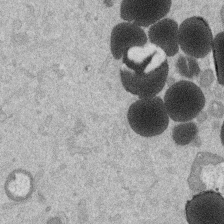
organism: Mouse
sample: Dividing mouse embryo 1 cell stage